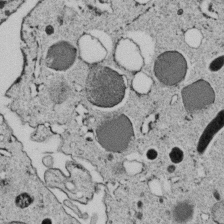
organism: C. elegans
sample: C. elegans embryo early stage